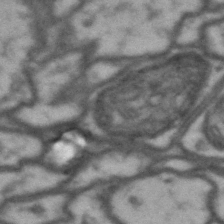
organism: Drosophila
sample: Brain